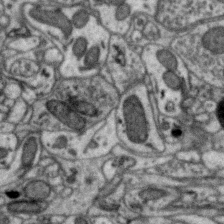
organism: Zebra finch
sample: Brain